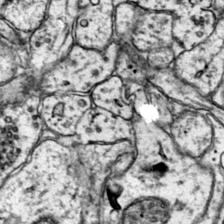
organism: Mouse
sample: Primary visual cortex